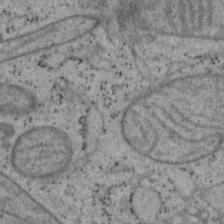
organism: Human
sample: HeLa cells